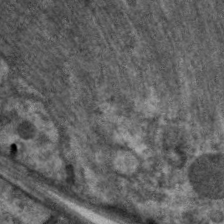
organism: C. elegans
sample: Pharynx